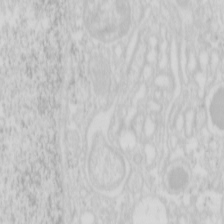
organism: Mouse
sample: Pancreas